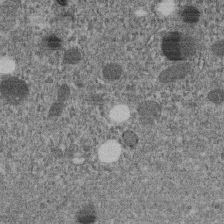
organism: C. elegans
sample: C. elegans embryo early stage